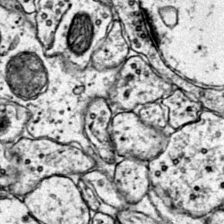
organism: Mouse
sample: Primary visual cortex